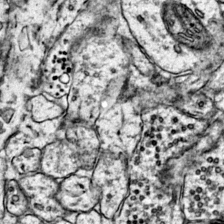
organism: Mouse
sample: Primary visual cortex